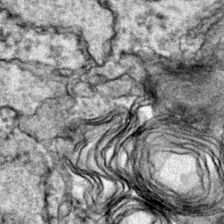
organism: Zebrafish